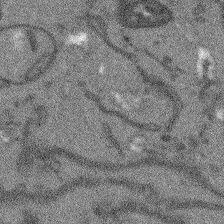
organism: Arabidopsis thaliana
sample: Root tip